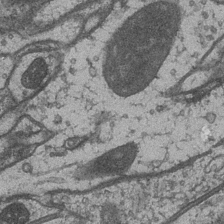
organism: Drosophila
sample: Optic medulla